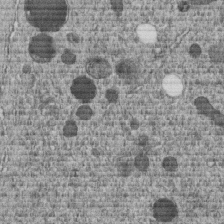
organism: C. elegans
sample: C. elegans embryo early stage